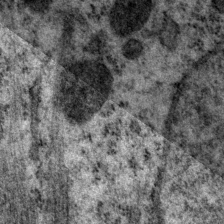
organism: P. pacificus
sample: Pharynx